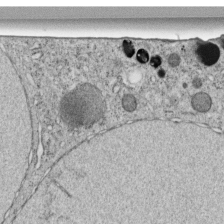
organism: C. elegans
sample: C. elegans embryo early stage